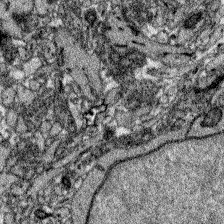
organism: Zebrafish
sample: Larval olfactory bulb